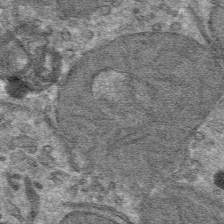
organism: Mouse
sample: Mouse hepatocytes